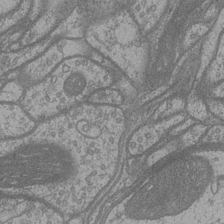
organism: Drosophila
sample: Optic medulla